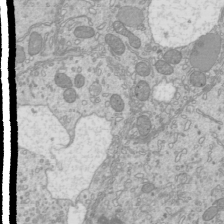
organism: Mouse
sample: Cilia; mouse epididymis